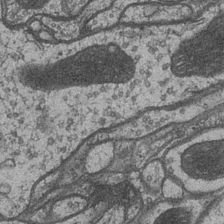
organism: Drosophila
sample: Optic medulla